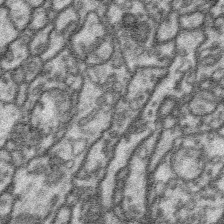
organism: Platynereis dumerilii